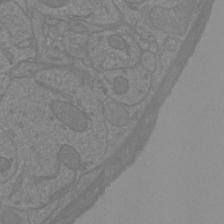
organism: Mouse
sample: Cortical neurons